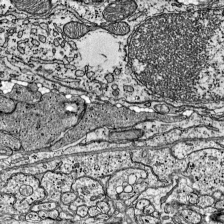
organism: Mouse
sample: Visual Cortex